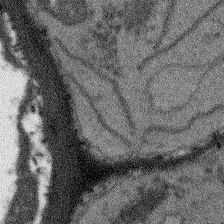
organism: Arabidopsis thaliana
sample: Root tip